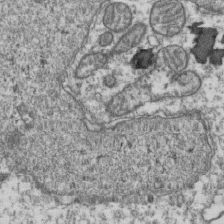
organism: Human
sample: Activated Jurkat CD4+ T cells